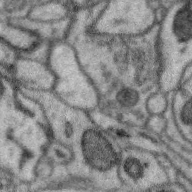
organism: Zebra finch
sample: Brain